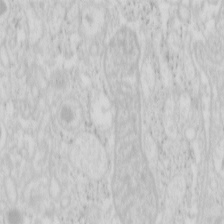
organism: Mouse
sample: Pancreas